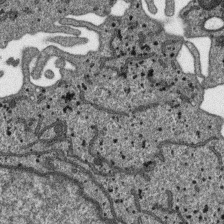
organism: Human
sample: Lung epithelial cells infected with SARS-CoV-2